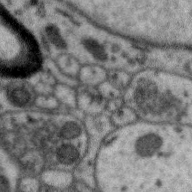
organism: Zebra finch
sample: Brain